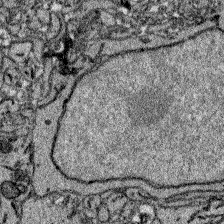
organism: Zebrafish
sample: Larval olfactory bulb